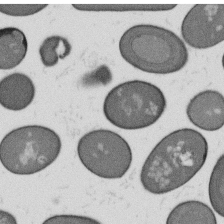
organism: B. subtilis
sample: Bacterial spore